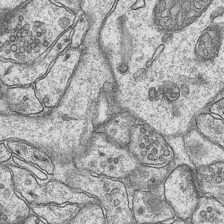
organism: Mouse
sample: CA1 Hippocampus